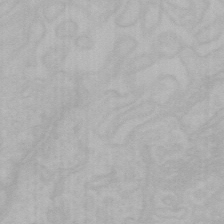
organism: Mouse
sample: Choroid plexus